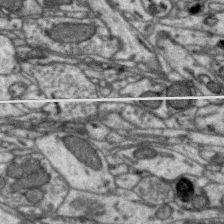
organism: Zebra finch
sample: Brain